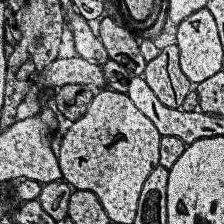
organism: Human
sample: Temporal Lobe